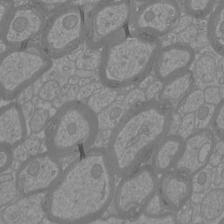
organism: Mouse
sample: Cortical neurons